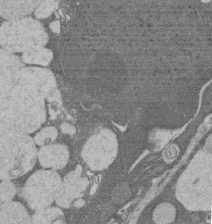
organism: Rat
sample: Salivary granule